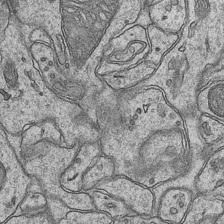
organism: Mouse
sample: CA1 Hippocampus